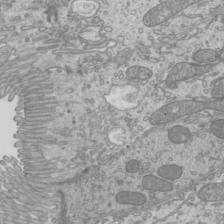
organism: Mouse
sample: Cilia; mouse epididymis